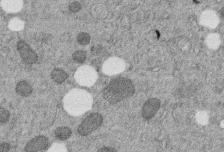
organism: C. elegans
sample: C. elegans embryo early stage